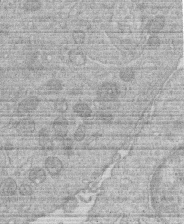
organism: Human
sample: Macrophage cells